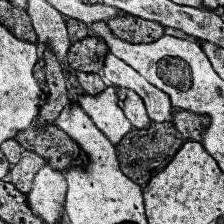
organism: Human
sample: Temporal Lobe